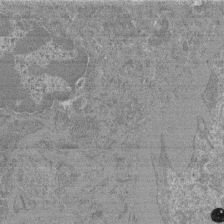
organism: Mouse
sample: Glomerulus